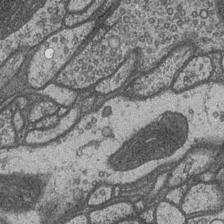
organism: Drosophila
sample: Optic medulla